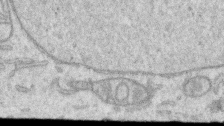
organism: Human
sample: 1205lu cells